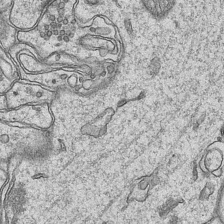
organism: Mouse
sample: CA1 Hippocampus